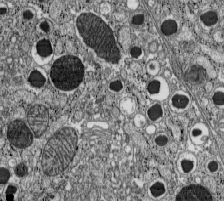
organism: C57BL Mouse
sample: Pancreatic islet